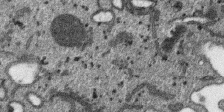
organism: Human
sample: Lung epithelial cells infected with SARS-CoV-2